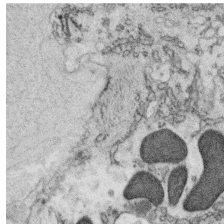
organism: C. elegans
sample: C. elegans oocyte; sperm cells